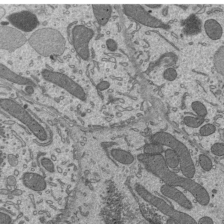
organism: Mouse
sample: Mouse epididymis efferent ductule cilia